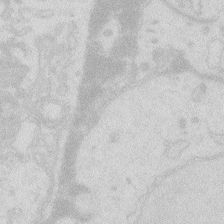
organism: Zebrafish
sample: Macrophage